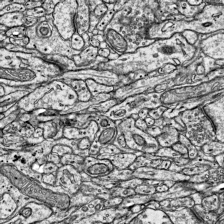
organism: Mouse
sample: Visual Cortex